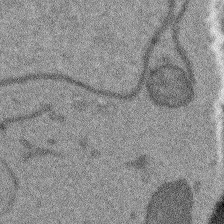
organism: Arabidopsis thaliana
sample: Root tip